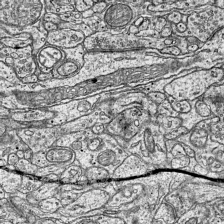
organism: Mouse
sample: Visual Cortex